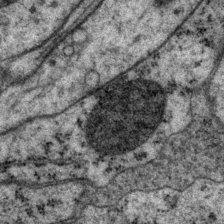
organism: P. pacificus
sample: Pharynx